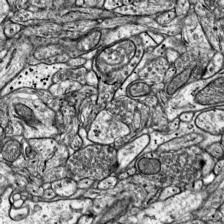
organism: Mouse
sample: Visual Cortex